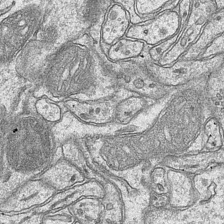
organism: Mouse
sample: CA1 Hippocampus